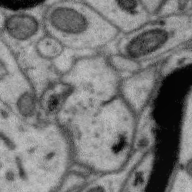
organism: Zebra finch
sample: Brain